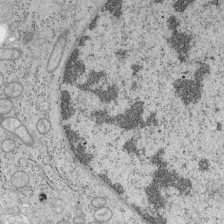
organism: Mouse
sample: OT-I killer T cells with ID8 ovarian cancer cells